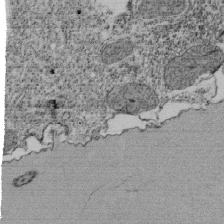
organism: Tetrahymena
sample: Cilia in tetrahymena